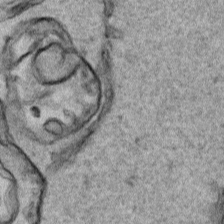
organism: Human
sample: Mitochondria in HCT116 cells